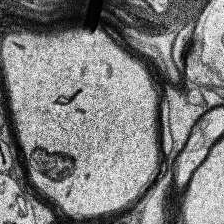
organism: Human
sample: Temporal Lobe